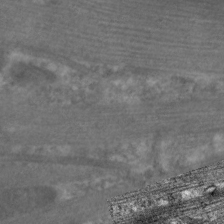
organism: C. elegans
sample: Pharynx